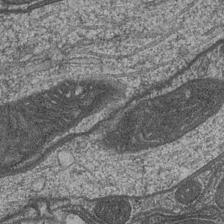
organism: Drosophila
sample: Optic medulla